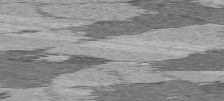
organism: C57BL Mouse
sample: Heart